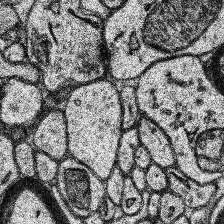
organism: Human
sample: Temporal Lobe